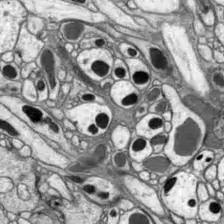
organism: Drosophila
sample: Optic lobe